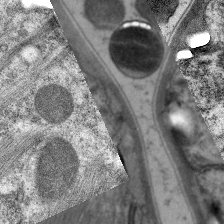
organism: C. elegans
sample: Pharynx